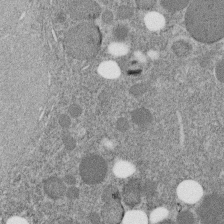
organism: C. elegans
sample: C. elegans embryo early stage